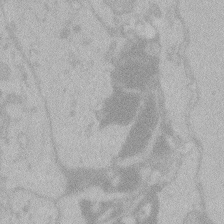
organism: Zebrafish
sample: Macrophage infected with Toxoplasma gondii